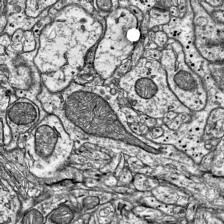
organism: Mouse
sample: Visual Cortex